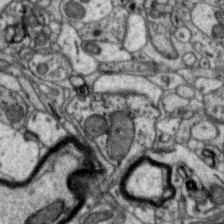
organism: Zebra finch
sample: Brain